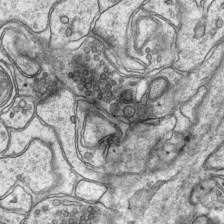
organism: Mouse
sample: CA1 Hippocampus